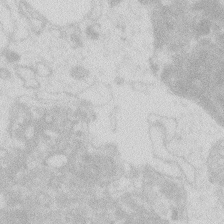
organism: Zebrafish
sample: Macrophage